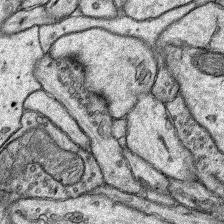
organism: Rat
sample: Hippocampus